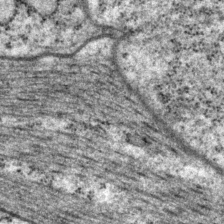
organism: P. pacificus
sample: Pharynx